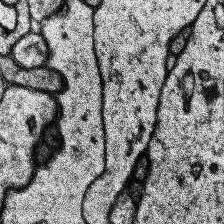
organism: Human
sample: Temporal Lobe